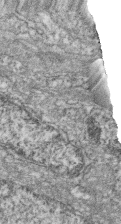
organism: Zebrafish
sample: Cilia; retinal pigment epithelium